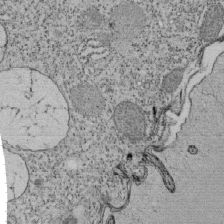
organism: Tetrahymena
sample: Cilia in tetrahymena